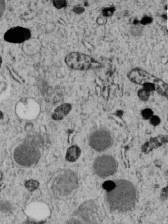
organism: C. elegans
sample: C. elegans embryo early stage